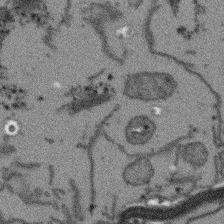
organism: Arabidopsis thaliana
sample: Root tip